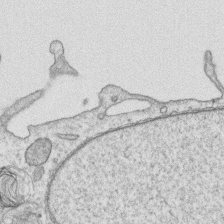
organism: Human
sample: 1205lu cells